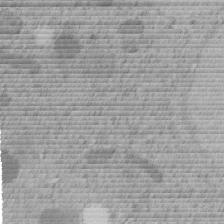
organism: C. elegans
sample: C. elegans embryo early stage